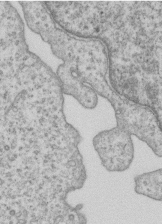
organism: Human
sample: MDA-MB-231 cells